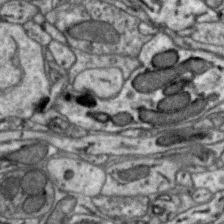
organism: Zebra finch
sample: Brain